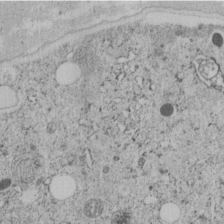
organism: C. elegans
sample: C. elegans embryo early stage